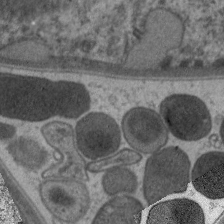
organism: C. elegans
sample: Pharynx